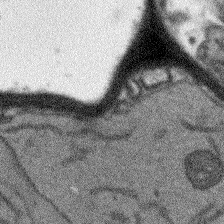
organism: Arabidopsis thaliana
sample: Root tip